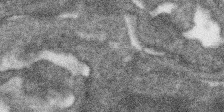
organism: Human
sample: Lung epithelial cells infected with SARS-CoV-2